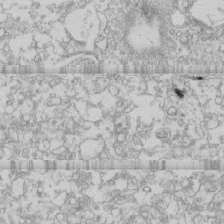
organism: Human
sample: CRL-1474